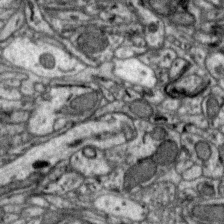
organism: Zebra finch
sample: Brain